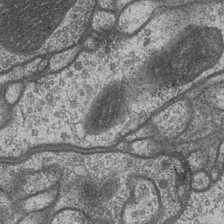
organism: Drosophila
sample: Optic medulla